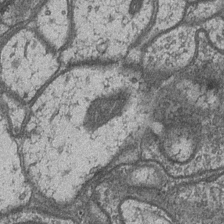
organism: Drosophila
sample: Optic medulla